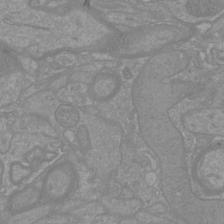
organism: Mouse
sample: Cortical neurons